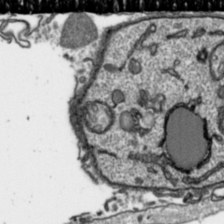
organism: Toxoplasma gondii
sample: Parasites in a vacuole inside a host cell